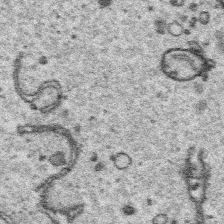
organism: Platynereis dumerilii